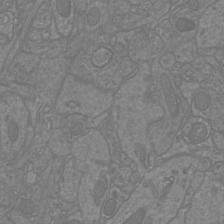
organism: Mouse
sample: Cortical neurons